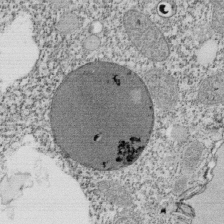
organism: Tetrahymena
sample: Cilia in tetrahymena